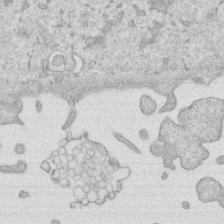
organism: Human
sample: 1205lu cells